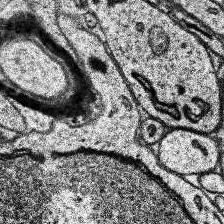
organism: Human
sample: Temporal Lobe